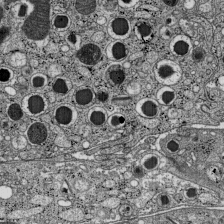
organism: C57BL Mouse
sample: Pancreatic islet